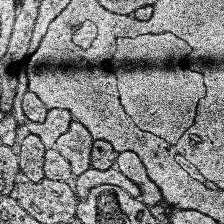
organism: Human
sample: Temporal Lobe